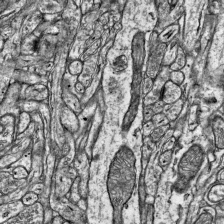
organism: Mouse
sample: Visual Cortex